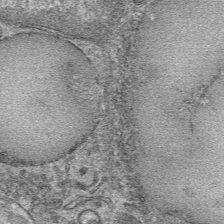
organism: Mouse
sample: Mouse hepatocytes